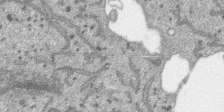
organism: Human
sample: Lung epithelial cells infected with SARS-CoV-2